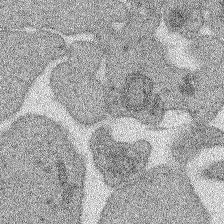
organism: Human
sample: HeLa cells